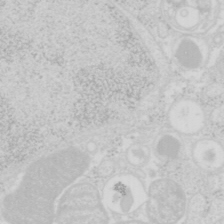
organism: Mouse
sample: Pancreas